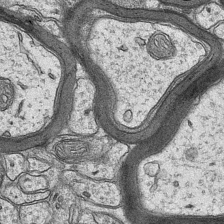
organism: Mouse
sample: CA1 Hippocampus